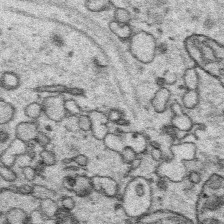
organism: Platynereis dumerilii